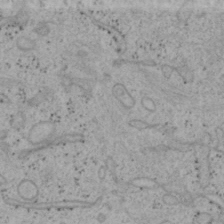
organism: Human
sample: HeLa cells